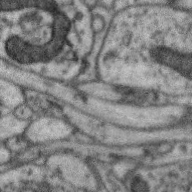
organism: Zebra finch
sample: Brain